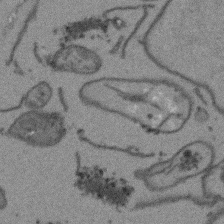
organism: Arabidopsis thaliana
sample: Root tip